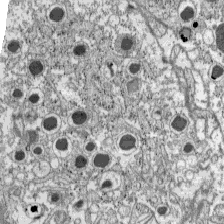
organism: C57BL Mouse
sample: Pancreatic islet